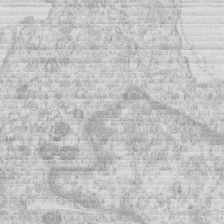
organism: Human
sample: Macrophage cells